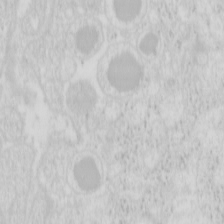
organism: Mouse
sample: Pancreas